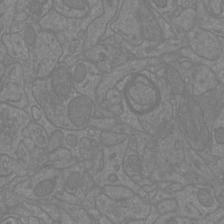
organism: Mouse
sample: Cortical neurons